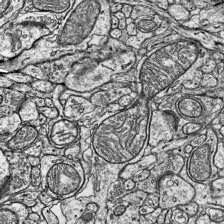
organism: Mouse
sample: Visual Cortex